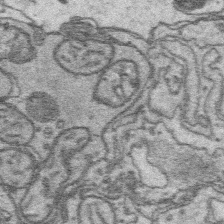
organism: Platynereis dumerilii